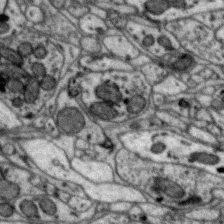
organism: Zebra finch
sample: Brain